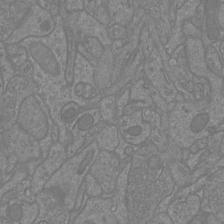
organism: Mouse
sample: Cortical neurons